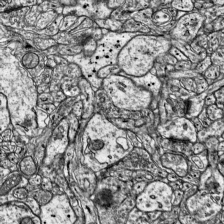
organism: Mouse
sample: Visual Cortex